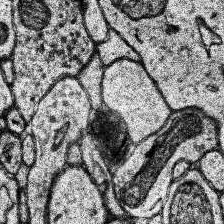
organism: Human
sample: Temporal Lobe